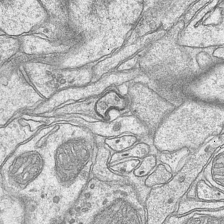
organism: Mouse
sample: CA1 Hippocampus